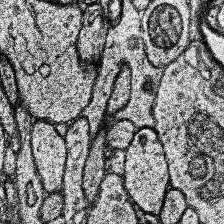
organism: Human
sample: Temporal Lobe